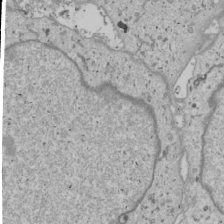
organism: Human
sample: Mitochondria in U2OS cells